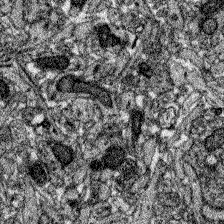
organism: Zebrafish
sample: Larval olfactory bulb